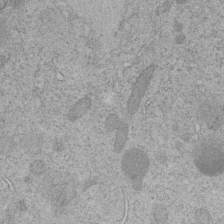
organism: C. elegans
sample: C. elegans embryo early stage